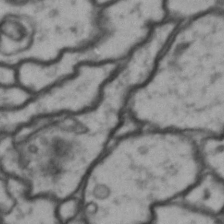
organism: Drosophila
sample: Brain